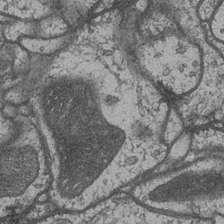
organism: Drosophila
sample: Optic medulla